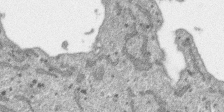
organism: Human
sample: Lung epithelial cells infected with SARS-CoV-2